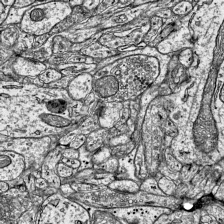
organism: Mouse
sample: Visual Cortex